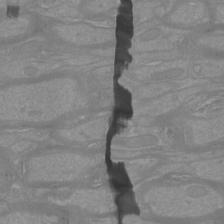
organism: Mouse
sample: Cortical neurons